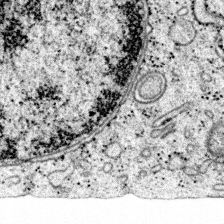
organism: Human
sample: HeLa cells